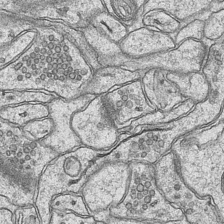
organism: Mouse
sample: CA1 Hippocampus